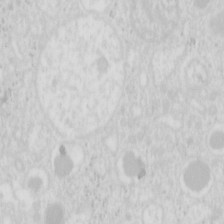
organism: Mouse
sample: Pancreas